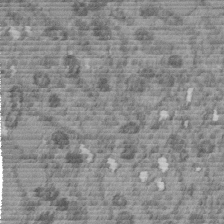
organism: C. elegans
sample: C. elegans embryo early stage